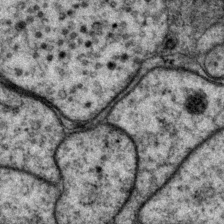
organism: P. pacificus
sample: Pharynx